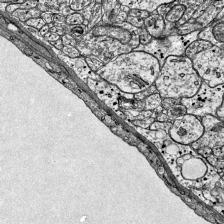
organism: Mouse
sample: Visual Cortex